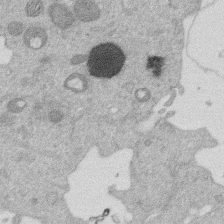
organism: Mouse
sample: Dividing mouse embryo 1 cell stage